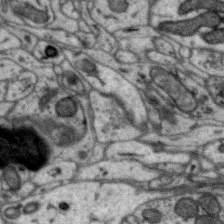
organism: Zebra finch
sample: Brain